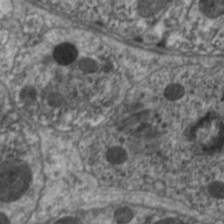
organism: C. elegans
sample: Pharynx